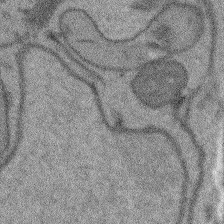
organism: Arabidopsis thaliana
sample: Root tip